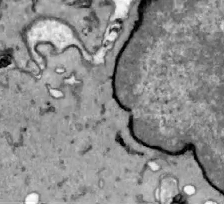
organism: Zebrafish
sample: Actinotrichia fibers